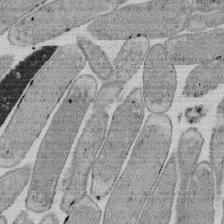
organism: E. coli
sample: Bacterial nucleoid